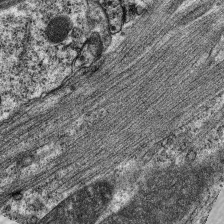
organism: C. elegans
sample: Pharynx